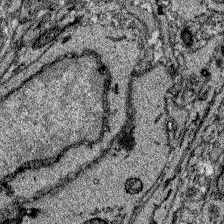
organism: Zebrafish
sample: Larval olfactory bulb